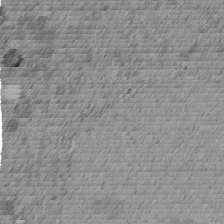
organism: C. elegans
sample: C. elegans embryo early stage